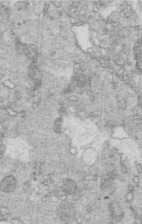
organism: Mouse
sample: Multiciliated cells